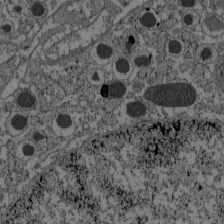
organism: C57BL Mouse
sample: Pancreatic islet